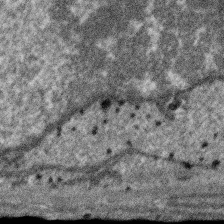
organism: Human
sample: Lung epithelial cells infected with SARS-CoV-2